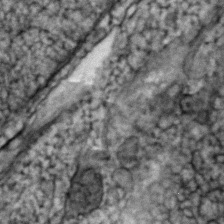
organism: Zebrafish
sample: Zebrafish embryo